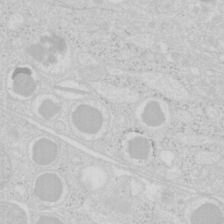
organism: Mouse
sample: Pancreas